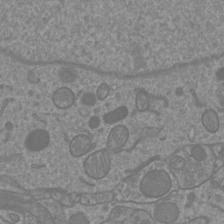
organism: Mouse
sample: Cortical neurons